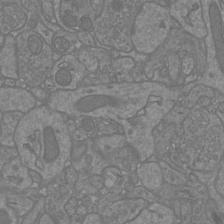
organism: Mouse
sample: Cortical neurons